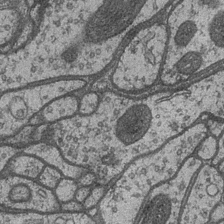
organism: Drosophila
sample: Optic medulla